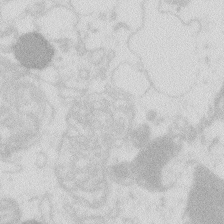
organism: Zebrafish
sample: Macrophage